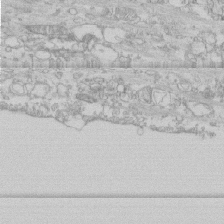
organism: Human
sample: CRL-1474